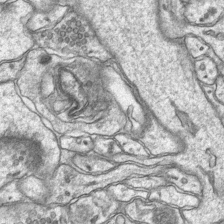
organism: Mouse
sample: CA1 Hippocampus